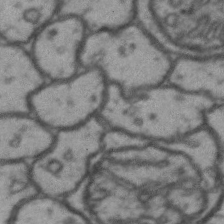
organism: Drosophila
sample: Brain